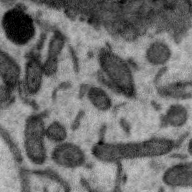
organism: Zebra finch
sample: Brain